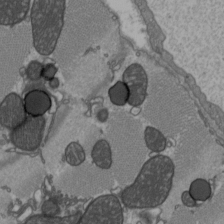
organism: C57BL Mouse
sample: Heart